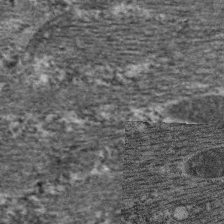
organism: C. elegans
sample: Pharynx